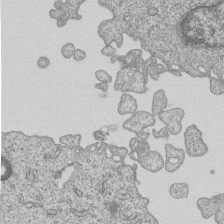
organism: Human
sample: MDA-MB-231 cells